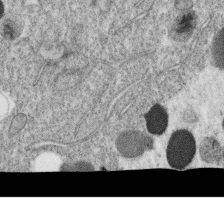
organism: C. elegans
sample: C. elegans oocyte; sperm cells